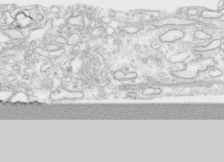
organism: Human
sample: CRL-1474